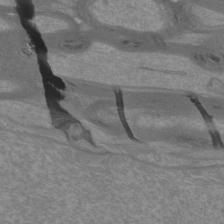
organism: Mouse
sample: Cortical neurons